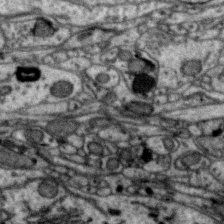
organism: Zebra finch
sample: Brain